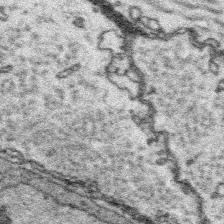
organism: Platynereis dumerilii